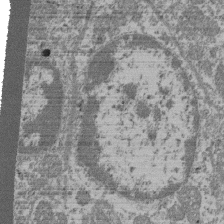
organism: Mouse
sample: Glomerulus